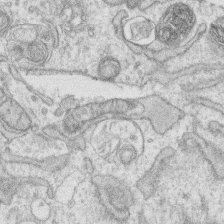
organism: Human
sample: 1205lu cells